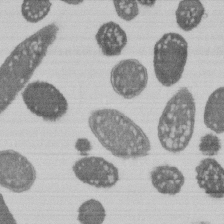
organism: E. coli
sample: Bacterial nucleoid